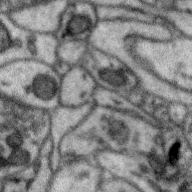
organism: Zebra finch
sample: Brain